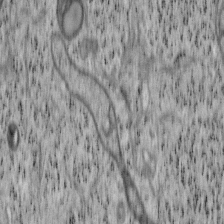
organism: Human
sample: HeLa cells